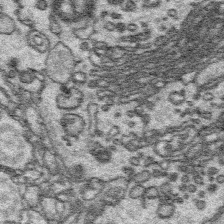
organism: Platynereis dumerilii